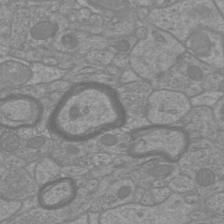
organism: Mouse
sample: Cortical neurons